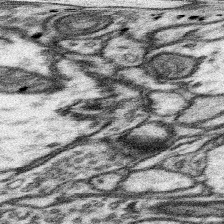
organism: Mouse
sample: Somatosensory cortex neuropil